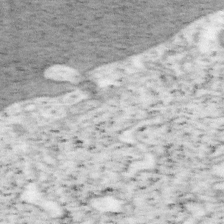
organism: Mouse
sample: OT-I killer T cells with ID8 ovarian cancer cells